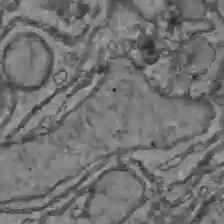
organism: C57BL Mouse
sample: Liver